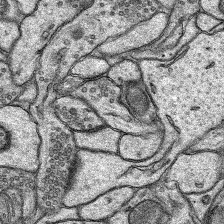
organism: Rat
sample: Hippocampus